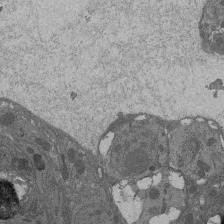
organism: Drosophila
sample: Antenna